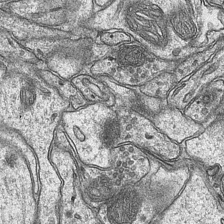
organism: Mouse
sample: CA1 Hippocampus